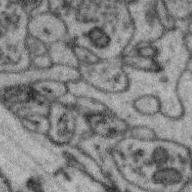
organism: Zebra finch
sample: Brain